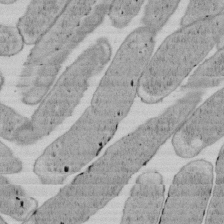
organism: E. coli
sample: Bacterial nucleoid